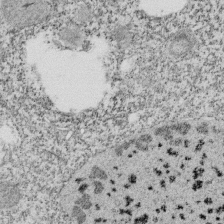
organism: Tetrahymena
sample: Cilia in tetrahymena